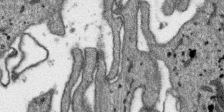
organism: Human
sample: Lung epithelial cells, uninfected (mock) control